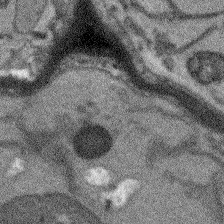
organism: Arabidopsis thaliana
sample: Root tip